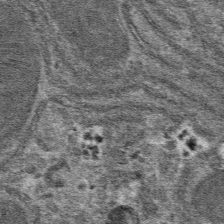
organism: Mouse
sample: Mouse hepatocytes